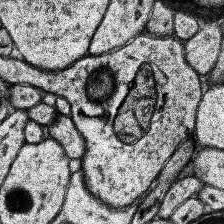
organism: Human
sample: Temporal Lobe